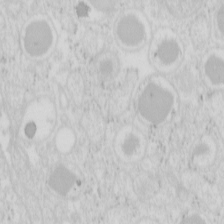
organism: Mouse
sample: Pancreas